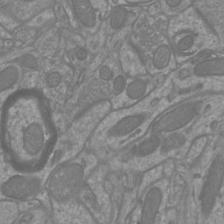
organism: Mouse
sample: Cortical neurons